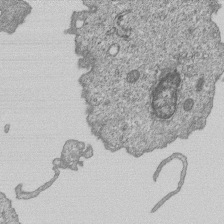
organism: Human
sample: MDA-MB-231 cells